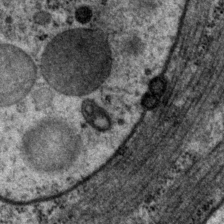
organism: P. pacificus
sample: Pharynx